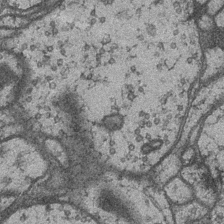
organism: Drosophila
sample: Optic medulla